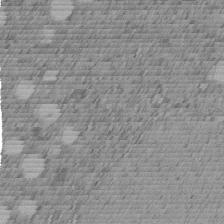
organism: C. elegans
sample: C. elegans embryo early stage